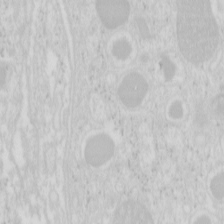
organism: Mouse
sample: Pancreas